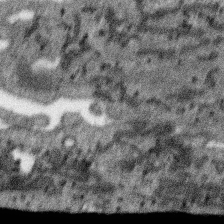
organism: Human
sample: Lung epithelial cells infected with SARS-CoV-2